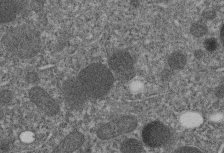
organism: C. elegans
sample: C. elegans embryo early stage